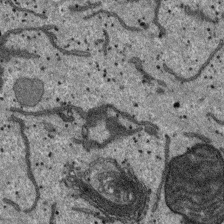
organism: Human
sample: Lung epithelial cells, uninfected (mock) control